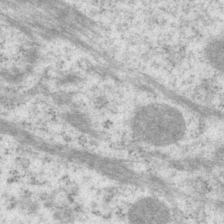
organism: P. pacificus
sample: Pharynx